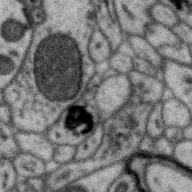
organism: Zebra finch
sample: Brain